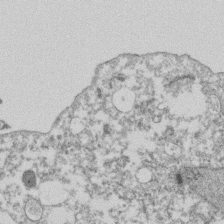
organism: Dictyostelium discoideum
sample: Dictyostelium multivesicular bodies